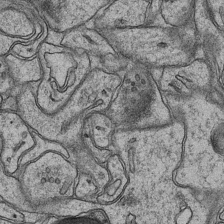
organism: Mouse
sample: CA1 Hippocampus